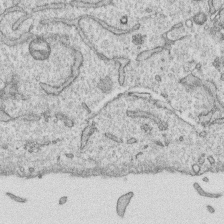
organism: Human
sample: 1205lu cells